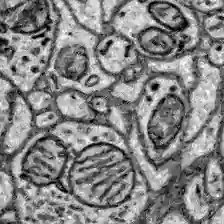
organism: Zebrafish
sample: Brain